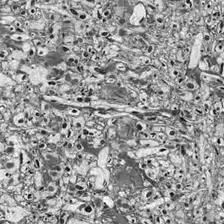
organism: Drosophila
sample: Optic lobe